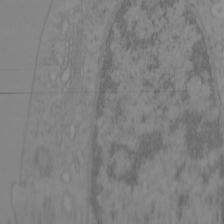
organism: Human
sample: HeLa cells